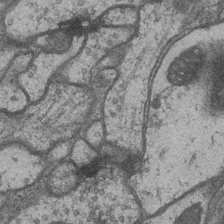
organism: Drosophila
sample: Optic medulla